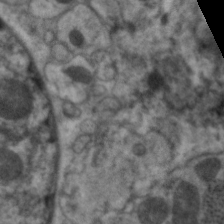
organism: C. elegans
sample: Pharynx